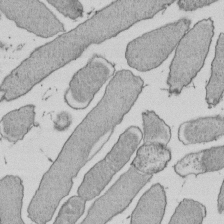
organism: E. coli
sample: Bacterial nucleoid